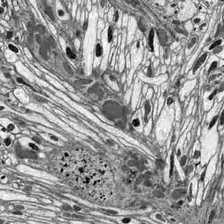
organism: Drosophila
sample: Optic lobe